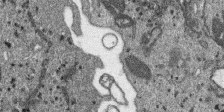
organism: Human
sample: Lung epithelial cells infected with SARS-CoV-2